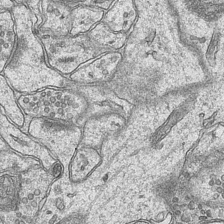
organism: Mouse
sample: CA1 Hippocampus